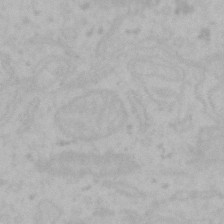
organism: Mouse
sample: Choroid plexus